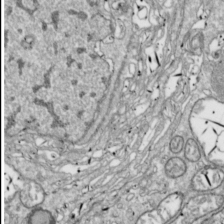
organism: Drosophila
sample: Cell division; meiosis; drosophila spermatocytes